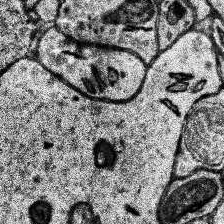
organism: Human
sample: Temporal Lobe